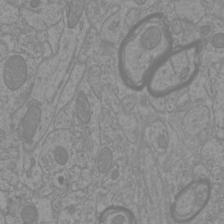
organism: Mouse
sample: Cortical neurons